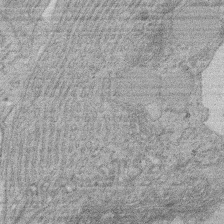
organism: Rat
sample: Salivary granule